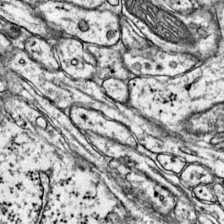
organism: Mouse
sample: Primary visual cortex